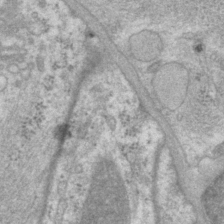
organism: P. pacificus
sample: Pharynx